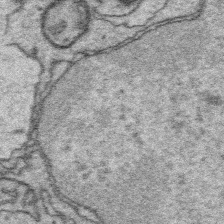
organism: Platynereis dumerilii